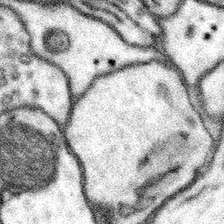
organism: Mouse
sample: Somatosensory cortex neuropil